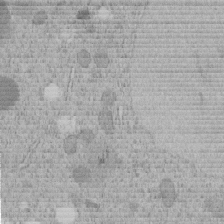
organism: C. elegans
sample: C. elegans embryo early stage